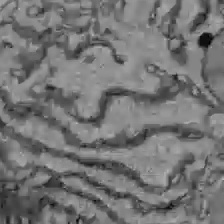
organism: C57BL Mouse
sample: Liver